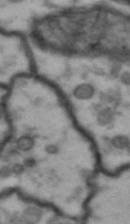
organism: Drosophila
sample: Brain